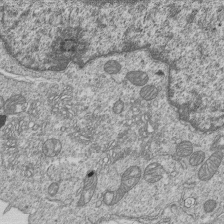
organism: Human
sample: MDA-MB-231 cells